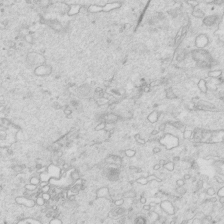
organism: Mouse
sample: Multiciliated cells